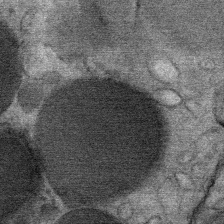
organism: Mouse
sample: Mouse Salivary gland